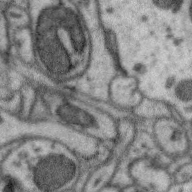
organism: Zebra finch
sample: Brain